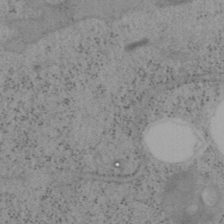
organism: Mouse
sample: OT-I killer T cells with ID8 ovarian cancer cells